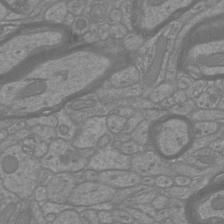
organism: Mouse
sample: Cortical neurons